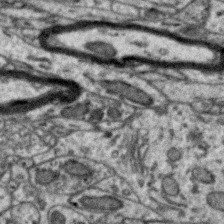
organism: Zebra finch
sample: Brain